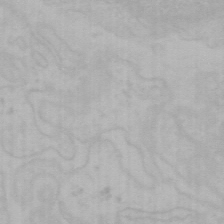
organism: Mouse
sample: Choroid plexus